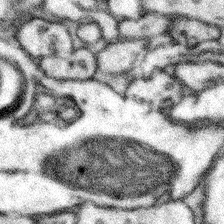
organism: Mouse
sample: Somatosensory cortex neuropil